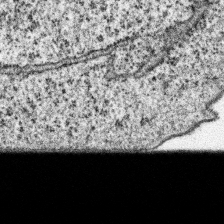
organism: Human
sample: HeLa cells